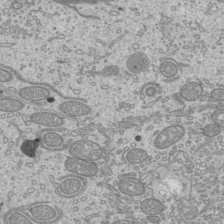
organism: Mouse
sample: Cilia; mouse epididymis